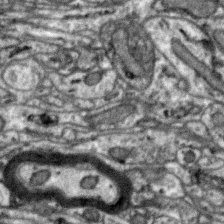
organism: Zebra finch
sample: Brain